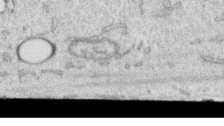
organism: Human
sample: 1205lu cells